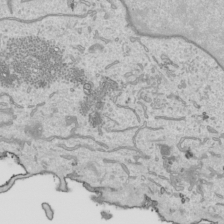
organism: Human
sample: Mitochondria in HCT116 cells